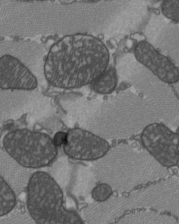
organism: C57BL Mouse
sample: Heart